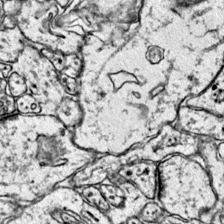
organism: Mouse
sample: Primary visual cortex